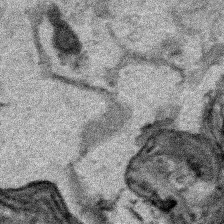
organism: Human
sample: Mitochondria in HCT116 cells